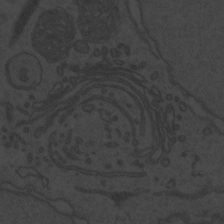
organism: Zebrafish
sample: Macrophage infected with Toxoplasma gondii